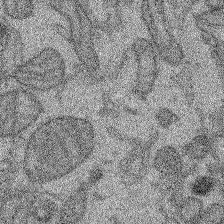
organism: Human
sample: HeLa cells